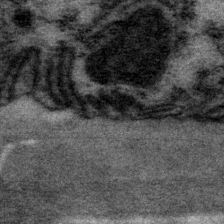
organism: P. pacificus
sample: Pharynx